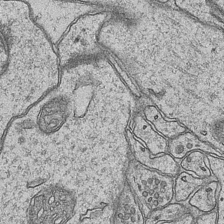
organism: Mouse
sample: CA1 Hippocampus